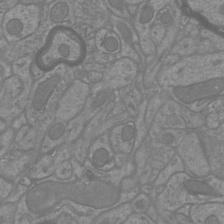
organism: Mouse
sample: Cortical neurons